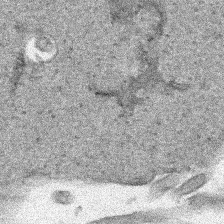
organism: Human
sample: Mitochondria in HCT116 cells